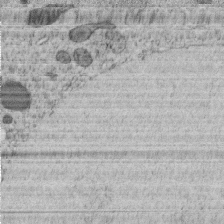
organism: C. elegans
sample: C. elegans embryo early stage